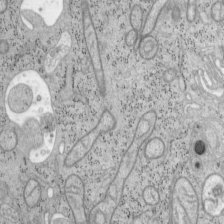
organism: Mouse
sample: OT-I killer T cells with ID8 ovarian cancer cells